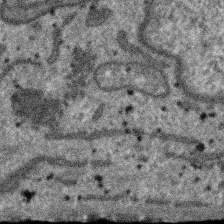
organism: Human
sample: Lung epithelial cells infected with SARS-CoV-2